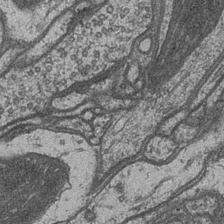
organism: Drosophila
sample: Optic medulla